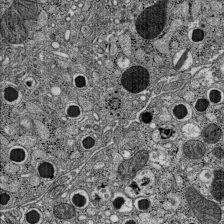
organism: C57BL Mouse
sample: Pancreatic islet